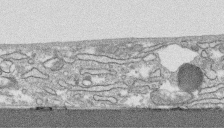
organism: Human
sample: CRL-1474